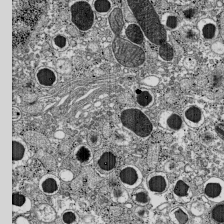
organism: C57BL Mouse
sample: Pancreatic islet